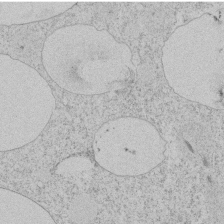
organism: Tetrahymena